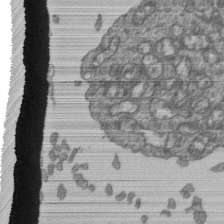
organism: Human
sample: Retinal organoid Rod and Cone cells